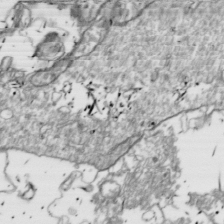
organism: Drosophila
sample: Cell division; meiosis; drosophila spermatocytes